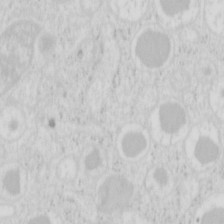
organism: Mouse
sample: Pancreas